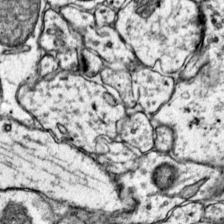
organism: Mouse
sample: Primary visual cortex